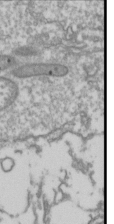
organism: Drosophila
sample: Cell division; meiosis; drosophila spermatocytes